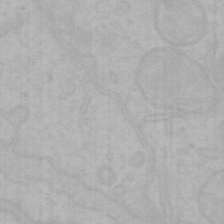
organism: Mouse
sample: Choroid plexus